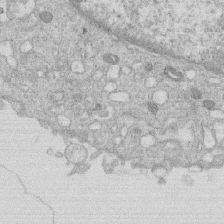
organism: Human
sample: Macrophage cells